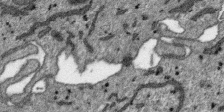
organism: Human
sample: Lung epithelial cells, uninfected (mock) control